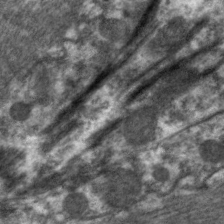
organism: C. elegans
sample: Pharynx